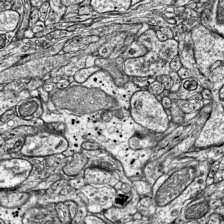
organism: Mouse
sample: Visual Cortex